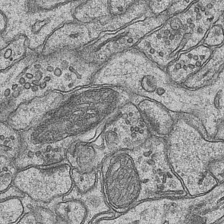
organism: Mouse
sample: CA1 Hippocampus